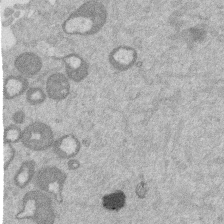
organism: Mouse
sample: Dividing mouse embryo 1 cell stage